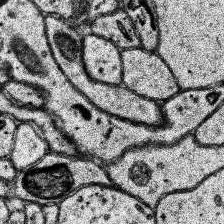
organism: Human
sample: Temporal Lobe